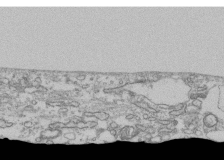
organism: Human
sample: Fibroblast cells